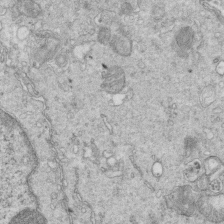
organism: Mouse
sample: Multiciliated cells